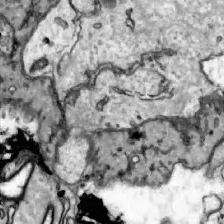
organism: Zebrafish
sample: Actinotrichia fibers